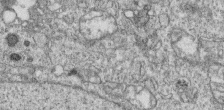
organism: Human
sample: HeLa cell HIV synapse